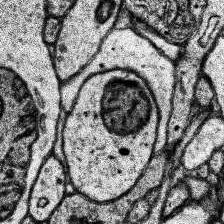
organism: Human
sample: Temporal Lobe